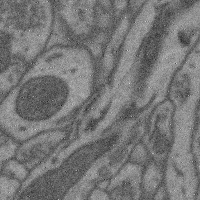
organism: Mouse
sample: Cerebral cortex